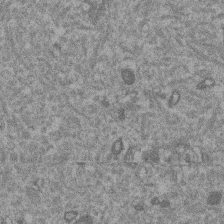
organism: Mouse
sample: Dividing mouse embryo 1 cell stage